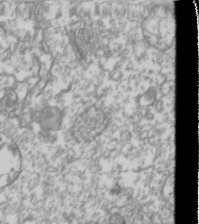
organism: Drosophila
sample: Cell division; meiosis; drosophila spermatocytes